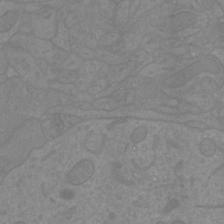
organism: Mouse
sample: Cortical neurons